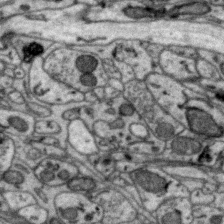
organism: Zebra finch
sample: Brain